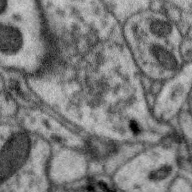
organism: Zebra finch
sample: Brain